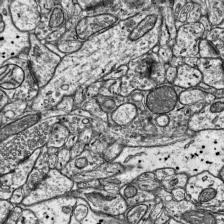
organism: Mouse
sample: Visual Cortex